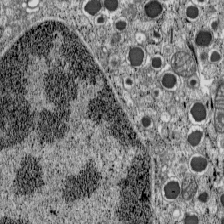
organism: C57BL Mouse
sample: Pancreatic islet